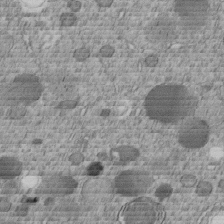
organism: C. elegans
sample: C. elegans embryo early stage